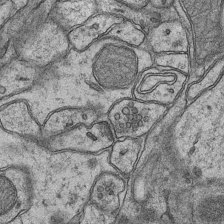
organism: Mouse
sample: CA1 Hippocampus